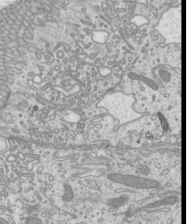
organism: Mouse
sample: Cilia; mouse epididymis